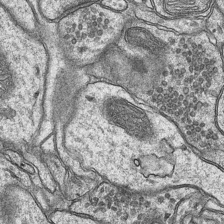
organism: Mouse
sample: CA1 Hippocampus